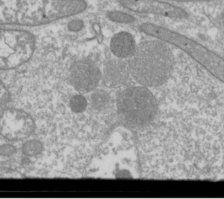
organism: Drosophila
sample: Cell division; meiosis; drosophila spermatocytes